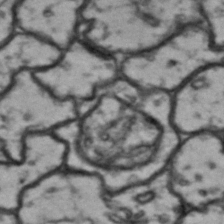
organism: Drosophila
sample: Brain